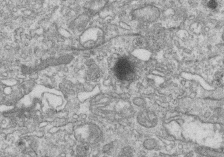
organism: Human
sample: HeLa cell HIV synapse